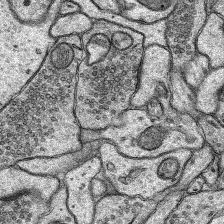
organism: Rat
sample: Hippocampus